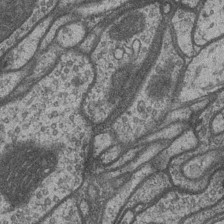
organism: Drosophila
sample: Optic medulla